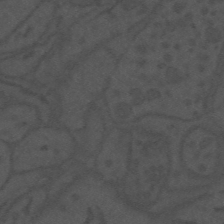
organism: Mouse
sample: Suprachiasmatic nucleus